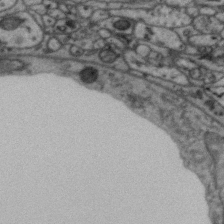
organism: Zebra finch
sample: Brain